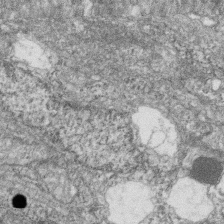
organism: Zebrafish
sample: Cilia; retinal pigment epithelium